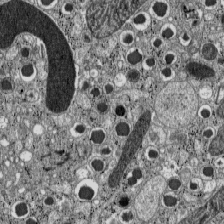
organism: C57BL Mouse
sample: Pancreatic islet